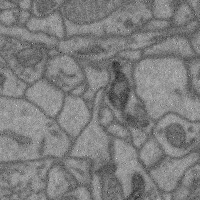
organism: Mouse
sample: Cerebral cortex